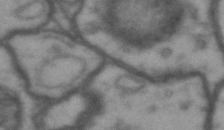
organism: Drosophila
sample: Brain